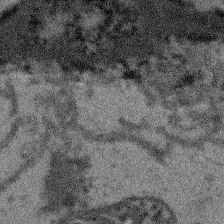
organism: Arabidopsis thaliana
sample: Root tip